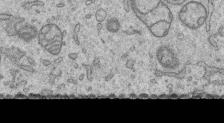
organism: Human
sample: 1205lu cells